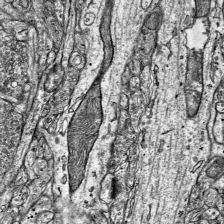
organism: Mouse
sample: Visual Cortex